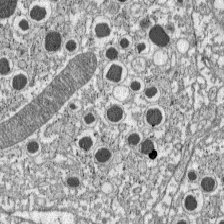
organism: C57BL Mouse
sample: Pancreatic islet